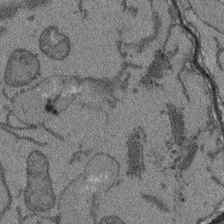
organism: Arabidopsis thaliana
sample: Root tip